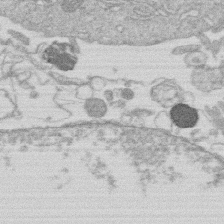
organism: Human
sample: Macrophage cells